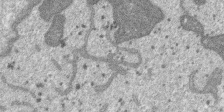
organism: Human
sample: Lung epithelial cells infected with SARS-CoV-2